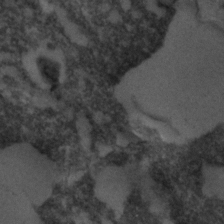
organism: C. elegans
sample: C. elegans embryo